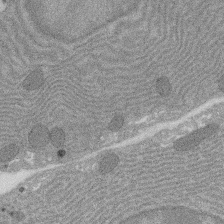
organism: Rat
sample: Salivary granule